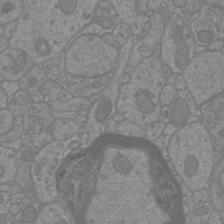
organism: Mouse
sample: Cortical neurons